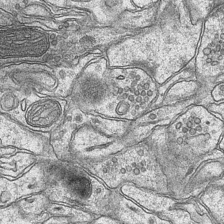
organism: Mouse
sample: CA1 Hippocampus